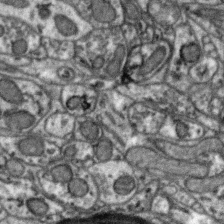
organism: Zebra finch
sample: Brain